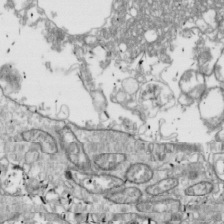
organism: Drosophila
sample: Cell division; meiosis; drosophila spermatocytes